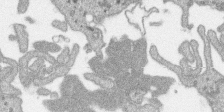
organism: Human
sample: Lung epithelial cells infected with SARS-CoV-2